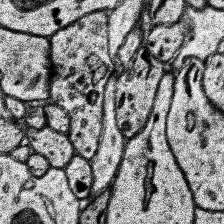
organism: Human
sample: Temporal Lobe